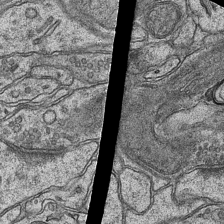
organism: Mouse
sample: CA1 Hippocampus